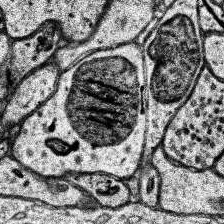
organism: Human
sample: Temporal Lobe